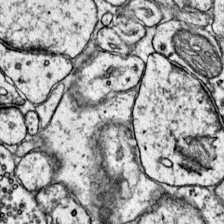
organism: Mouse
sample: Primary visual cortex